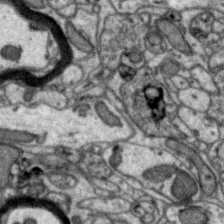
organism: Zebra finch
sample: Brain